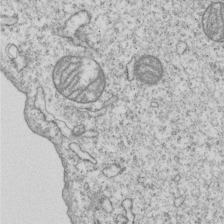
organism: Human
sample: MDA-MB-231 cells